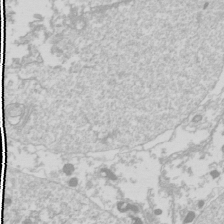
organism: Drosophila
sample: Cell division; meiosis; drosophila spermatocytes